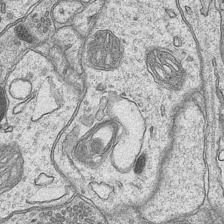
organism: Mouse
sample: CA1 Hippocampus